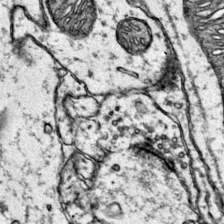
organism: Mouse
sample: Primary visual cortex